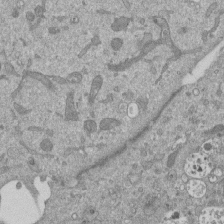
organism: Mouse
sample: ED-1 cell nuclei; centrioles